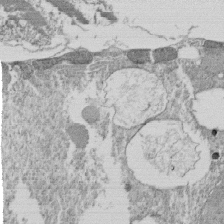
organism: Tetrahymena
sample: Cilia in tetrahymena